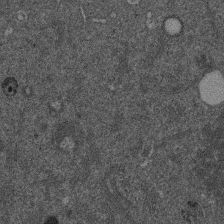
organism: Mouse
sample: Dividing mouse embryo 1 cell stage